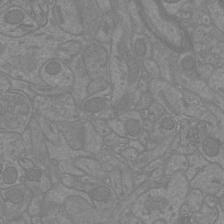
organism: Mouse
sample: Cortical neurons